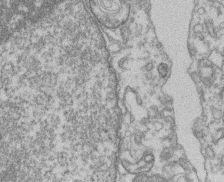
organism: Mouse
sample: T cell stromal cell synapse